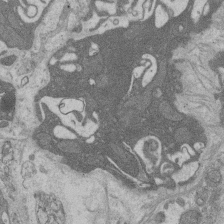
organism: Rat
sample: Salivary granule